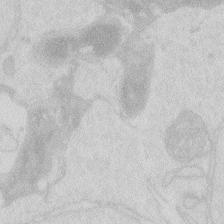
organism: Zebrafish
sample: Macrophage